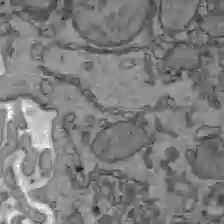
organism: C57BL Mouse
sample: Liver